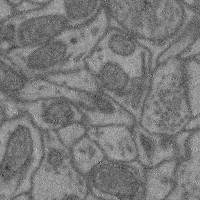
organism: Mouse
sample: Cerebral cortex